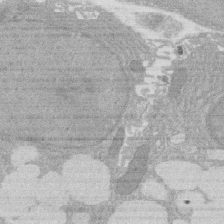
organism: Rat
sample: Salivary granule